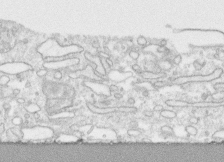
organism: Human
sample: CRL-1474